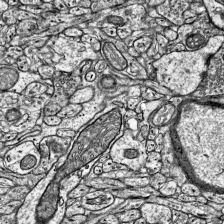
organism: Mouse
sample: Visual Cortex